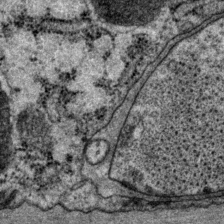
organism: P. pacificus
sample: Pharynx